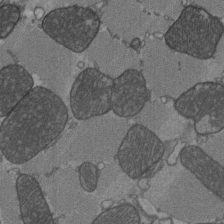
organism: C57BL Mouse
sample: Heart